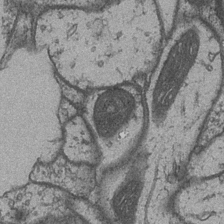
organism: Drosophila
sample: Optic medulla